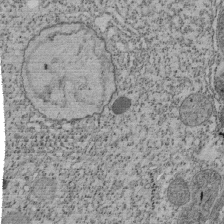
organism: Tetrahymena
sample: Cilia in tetrahymena